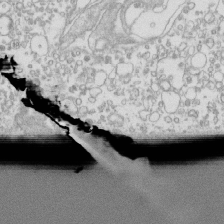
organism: Mouse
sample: Macrophages